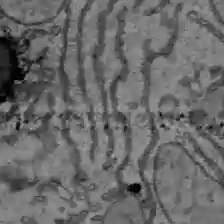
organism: C57BL Mouse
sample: Liver